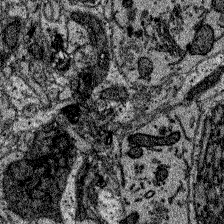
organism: Zebrafish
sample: Larval olfactory bulb